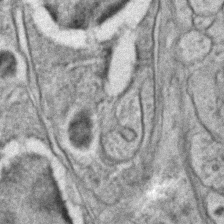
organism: C. elegans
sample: C. elegans embryo